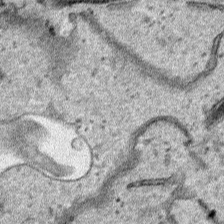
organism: Human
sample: Mitochondria in HCT116 cells